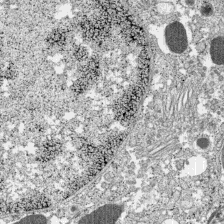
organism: C57BL Mouse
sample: Pancreatic islet